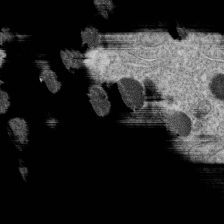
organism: C. elegans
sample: C. elegans oocyte; sperm cells